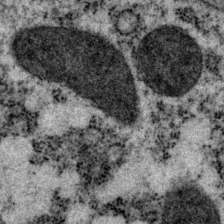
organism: P. pacificus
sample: Pharynx